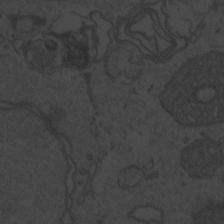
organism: Zebrafish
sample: Macrophage infected with Toxoplasma gondii